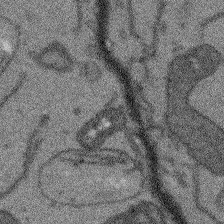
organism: Arabidopsis thaliana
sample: Root tip